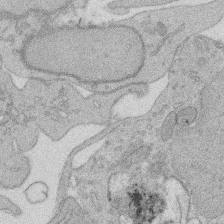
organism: Rat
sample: Salivary granule